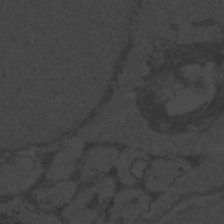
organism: Zebrafish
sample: Macrophage infected with Toxoplasma gondii